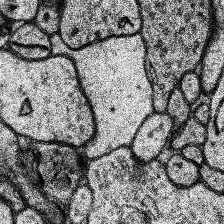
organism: Human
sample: Temporal Lobe